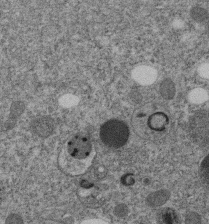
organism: C. elegans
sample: C. elegans embryo early stage